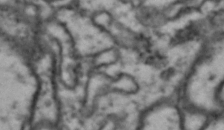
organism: Drosophila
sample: Brain